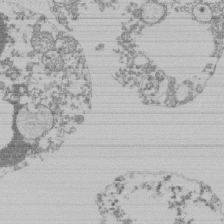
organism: Mouse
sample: Activated Pmel transgenic CD8+ T Cells